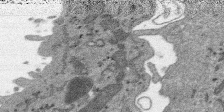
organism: Human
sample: Lung epithelial cells infected with SARS-CoV-2